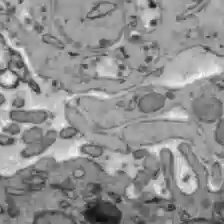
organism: C57BL Mouse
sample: Liver